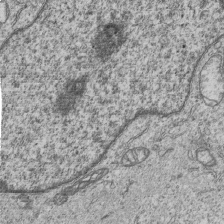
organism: Human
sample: MDA-MB-231 cells